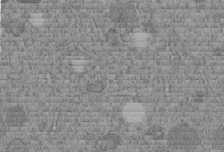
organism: C. elegans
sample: C. elegans embryo early stage